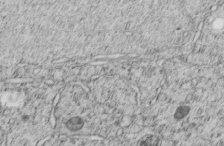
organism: C. elegans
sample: C. elegans embryo early stage